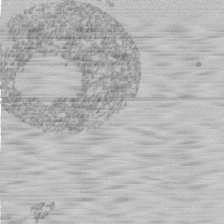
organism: Mouse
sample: Activated Pmel transgenic CD8+ T Cells